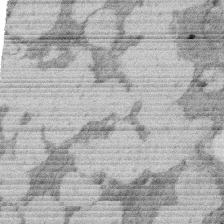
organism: Rat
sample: Salivary granule